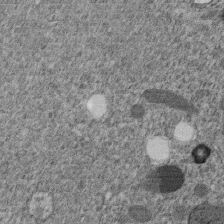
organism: C. elegans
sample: C. elegans embryo early stage